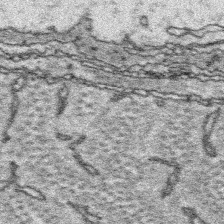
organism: Platynereis dumerilii